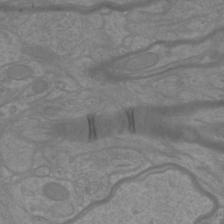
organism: Mouse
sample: Cortical neurons